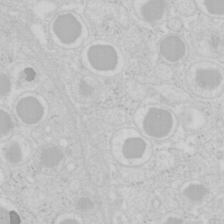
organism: Mouse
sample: Pancreas